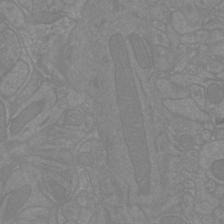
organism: Mouse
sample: Cortical neurons